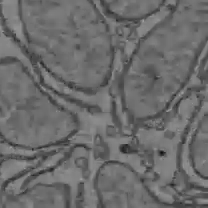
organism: C57BL Mouse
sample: Liver